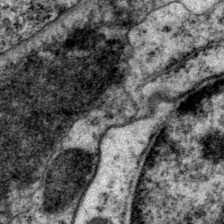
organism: P. pacificus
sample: Pharynx